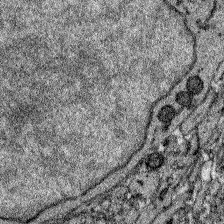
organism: Zebrafish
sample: Larval olfactory bulb